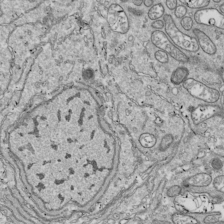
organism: Drosophila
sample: Cell division; meiosis; drosophila spermatocytes